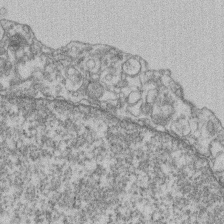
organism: Mouse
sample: T cell stromal cell synapse